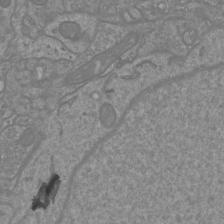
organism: Mouse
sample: Cortical neurons